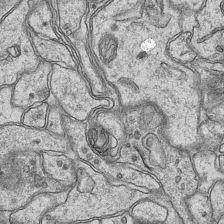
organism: Mouse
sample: CA1 Hippocampus